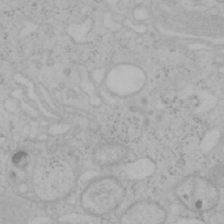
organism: Mouse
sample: OT-I killer T cells with ID8 ovarian cancer cells